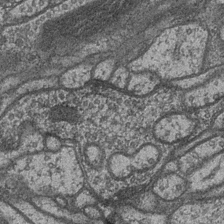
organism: Drosophila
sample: Optic medulla